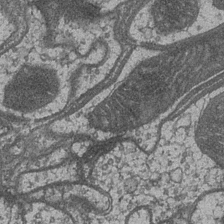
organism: Drosophila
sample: Optic medulla